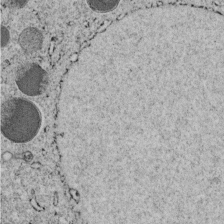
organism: C. elegans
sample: C. elegans embryo early stage